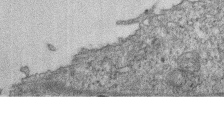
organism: Human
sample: HeLa cell HIV synapse